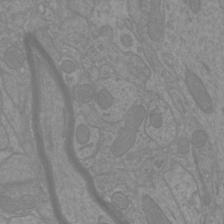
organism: Mouse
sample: Cortical neurons